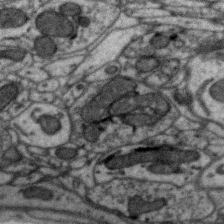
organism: Zebra finch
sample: Brain